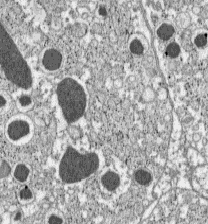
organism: C57BL Mouse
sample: Pancreatic islet